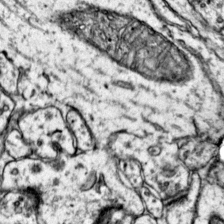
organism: Mouse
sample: Primary visual cortex